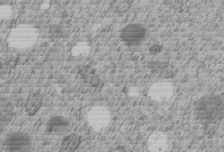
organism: C. elegans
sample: C. elegans embryo early stage